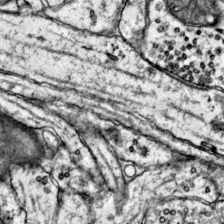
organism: Mouse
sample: Primary visual cortex